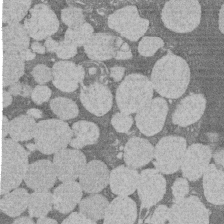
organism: Rat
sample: Salivary granule